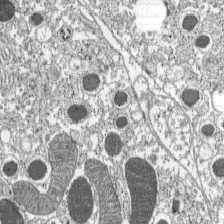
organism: C57BL Mouse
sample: Pancreatic islet